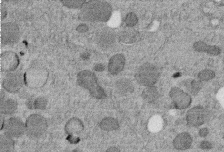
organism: C. elegans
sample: C. elegans embryo early stage